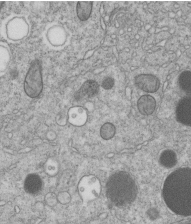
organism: C. elegans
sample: C. elegans embryo early stage